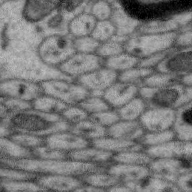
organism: Zebra finch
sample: Brain